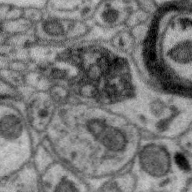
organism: Zebra finch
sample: Brain